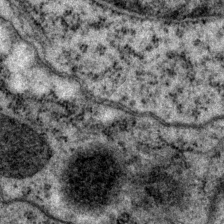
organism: P. pacificus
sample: Pharynx